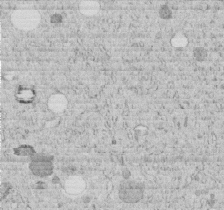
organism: C. elegans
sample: C. elegans embryo early stage